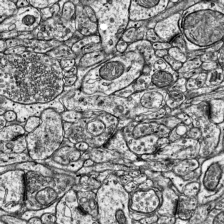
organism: Mouse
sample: Visual Cortex